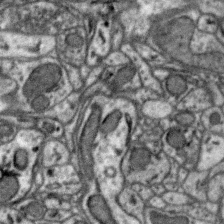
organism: Zebra finch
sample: Brain